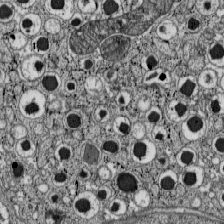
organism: C57BL Mouse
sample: Pancreatic islet